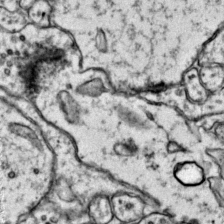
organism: Mouse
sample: Primary visual cortex